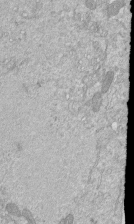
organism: Mouse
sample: ED-1 cell nuclei; centrioles